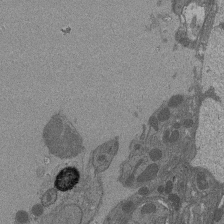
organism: Drosophila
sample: Antenna